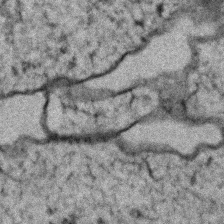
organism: Zebrafish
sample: Zebrafish embryo